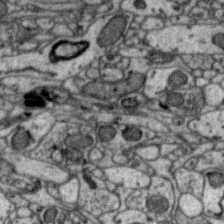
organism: Zebra finch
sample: Brain